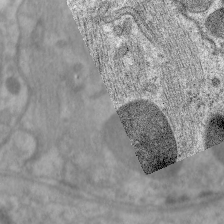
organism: C. elegans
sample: Pharynx